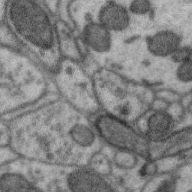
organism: Zebra finch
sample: Brain